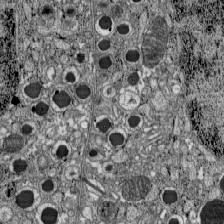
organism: C57BL Mouse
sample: Pancreatic islet